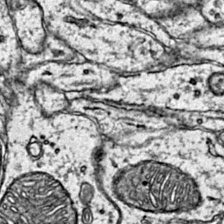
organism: Mouse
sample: Primary visual cortex